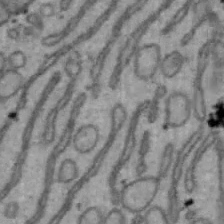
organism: Mouse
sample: Liver